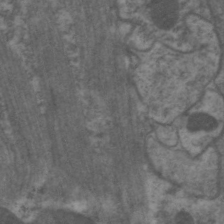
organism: C. elegans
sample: Pharynx